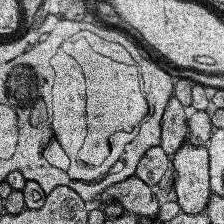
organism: Human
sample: Temporal Lobe